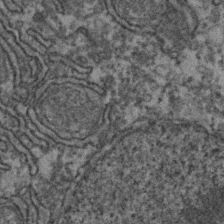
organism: Zebrafish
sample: Zebrafish embryo